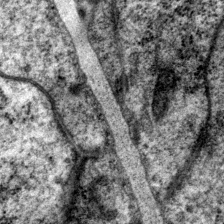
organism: P. pacificus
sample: Pharynx